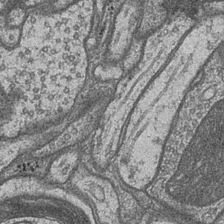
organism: Drosophila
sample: Optic medulla